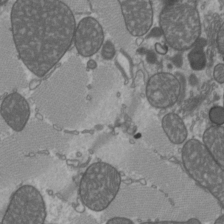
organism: C57BL Mouse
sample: Heart